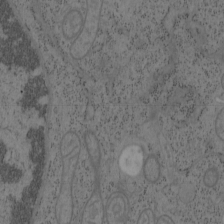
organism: Mouse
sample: OT-I killer T cells with ID8 ovarian cancer cells